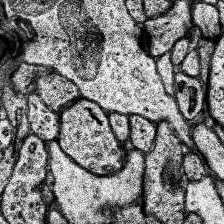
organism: Human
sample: Temporal Lobe